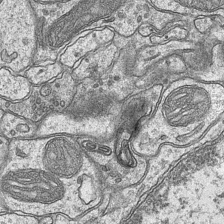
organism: Mouse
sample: CA1 Hippocampus